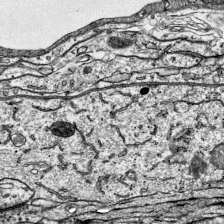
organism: Mouse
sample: Visual Cortex